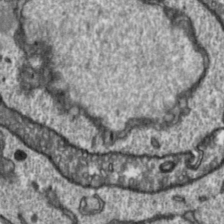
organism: Toxoplasma gondii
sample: Parasites in a vacuole inside a host cell